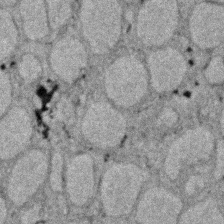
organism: Zebrafish